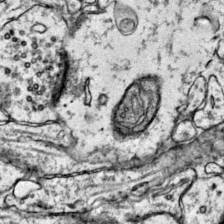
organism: Mouse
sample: Primary visual cortex